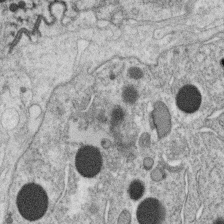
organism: C. elegans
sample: C. elegans oocyte; sperm cells